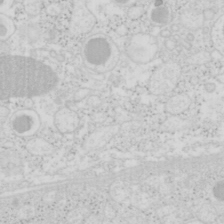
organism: Mouse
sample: Pancreas